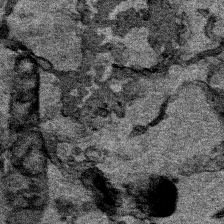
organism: Human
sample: Mitochondria in HCT116 cells